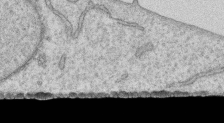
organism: Human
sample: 1205lu cells